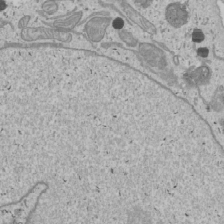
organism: Human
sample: Mitochondria in U2OS cells